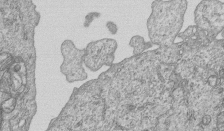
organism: Human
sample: MDA-MB-231 cells